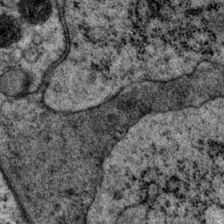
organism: P. pacificus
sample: Pharynx